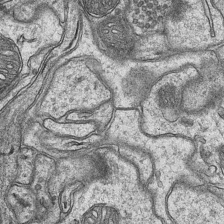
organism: Mouse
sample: CA1 Hippocampus